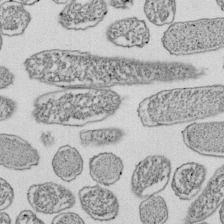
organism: E. coli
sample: Bacterial nucleoid